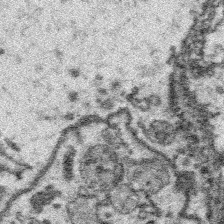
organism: Platynereis dumerilii